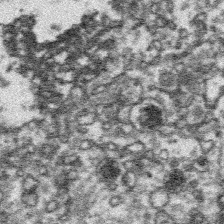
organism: Platynereis dumerilii